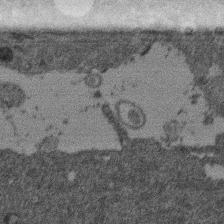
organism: Mouse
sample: Dividing mouse embryo 1 cell stage